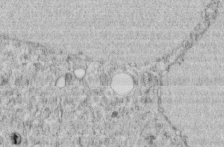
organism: C. elegans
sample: C. elegans embryo early stage